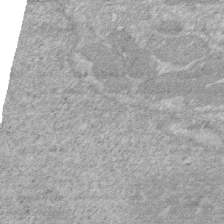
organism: Human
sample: HIV infected U937 cells